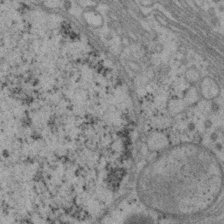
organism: Human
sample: HeLa cells